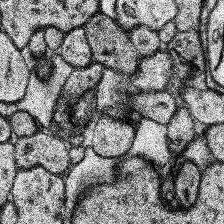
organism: Human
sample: Temporal Lobe